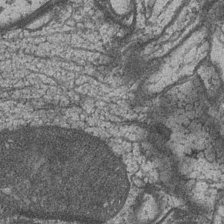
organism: Drosophila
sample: Optic medulla